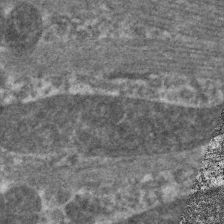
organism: C. elegans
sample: Pharynx